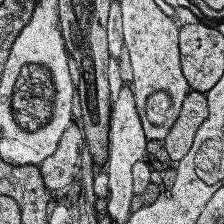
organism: Human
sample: Temporal Lobe